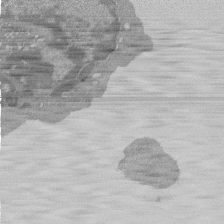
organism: Mouse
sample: Activated Pmel transgenic CD8+ T Cells